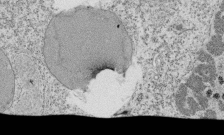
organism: Tetrahymena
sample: Cilia in tetrahymena